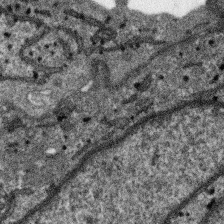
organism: Human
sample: Lung epithelial cells infected with SARS-CoV-2